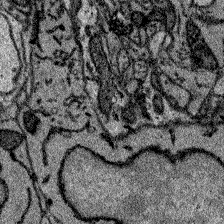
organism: Zebrafish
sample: Larval olfactory bulb